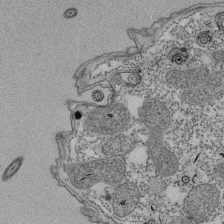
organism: Tetrahymena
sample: Cilia in tetrahymena